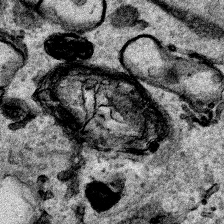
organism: Human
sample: Mitochondria in HCT116 cells